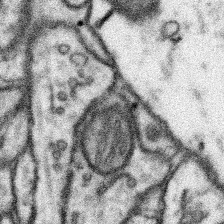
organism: Mouse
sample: Somatosensory cortex neuropil